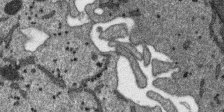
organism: Human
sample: Lung epithelial cells infected with SARS-CoV-2